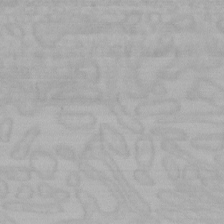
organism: Mouse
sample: Choroid plexus